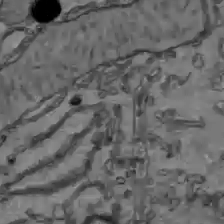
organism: C57BL Mouse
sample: Liver